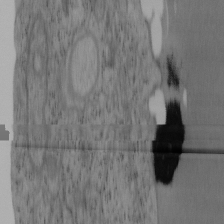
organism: Human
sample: HeLa cells